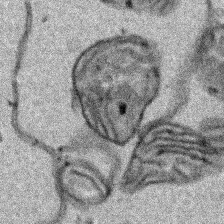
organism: Human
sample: Mitochondria in HCT116 cells